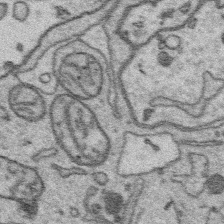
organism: Platynereis dumerilii